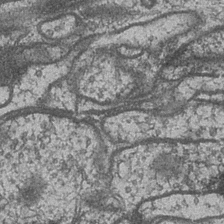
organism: Drosophila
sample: Optic medulla